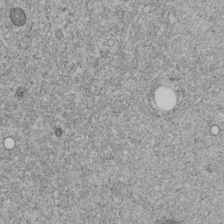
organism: C. elegans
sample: C. elegans embryo early stage